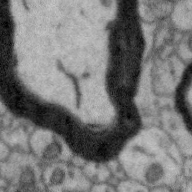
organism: Zebra finch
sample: Brain